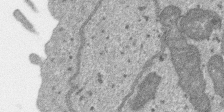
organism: Human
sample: Lung epithelial cells infected with SARS-CoV-2